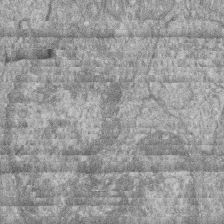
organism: Zebrafish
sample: Cilia; retinal pigment epithelium